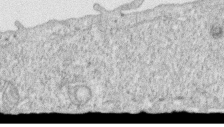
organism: Human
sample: HeLa cell HIV synapse